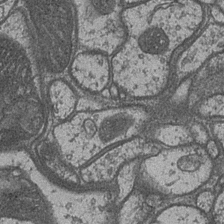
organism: Drosophila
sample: Optic medulla